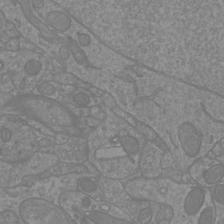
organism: Mouse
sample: Cortical neurons